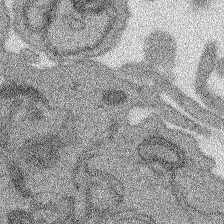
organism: Human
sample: HeLa cells